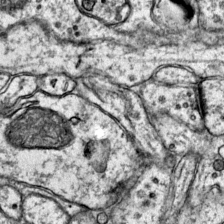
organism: Mouse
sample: Primary visual cortex